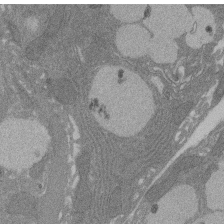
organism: Rat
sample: Salivary granule